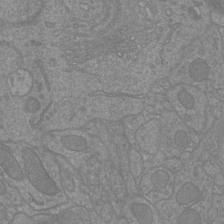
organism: Mouse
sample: Cortical neurons